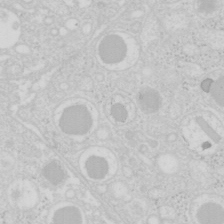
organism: Mouse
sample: Pancreas